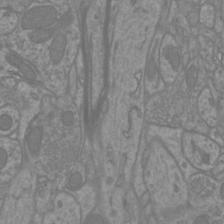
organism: Mouse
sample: Cortical neurons